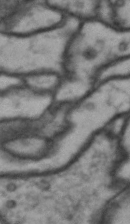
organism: Drosophila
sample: Brain